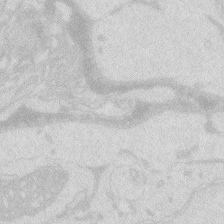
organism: Zebrafish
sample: Macrophage